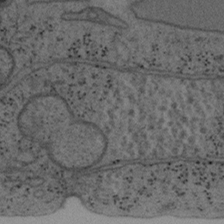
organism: Human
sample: HeLa cells